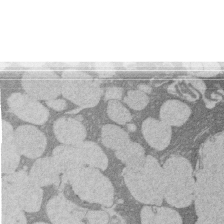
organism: Rat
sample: Salivary granule